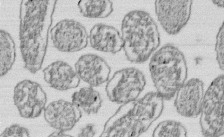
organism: E. coli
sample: Bacterial nucleoid